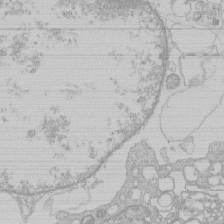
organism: Human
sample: Macrophage cells